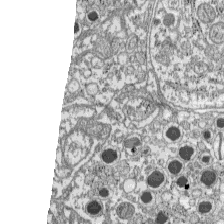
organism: C57BL Mouse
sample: Pancreatic islet